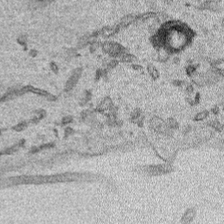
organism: Human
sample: Mitochondria in HCT116 cells